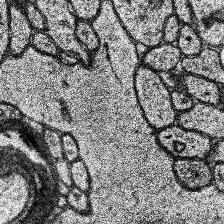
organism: Human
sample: Temporal Lobe